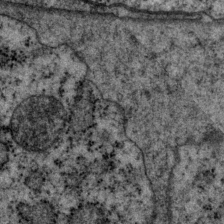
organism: P. pacificus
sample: Pharynx